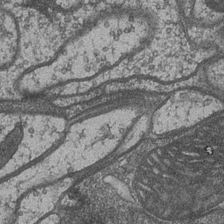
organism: Drosophila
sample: Optic medulla